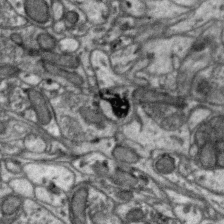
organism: Zebra finch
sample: Brain